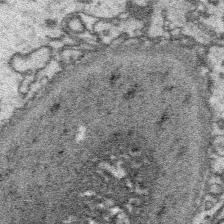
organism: Platynereis dumerilii